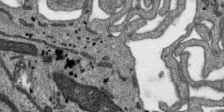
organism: Human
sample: Lung epithelial cells, uninfected (mock) control